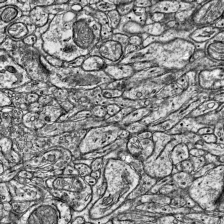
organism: Mouse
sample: Visual Cortex